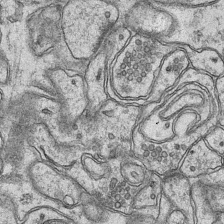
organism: Mouse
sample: CA1 Hippocampus